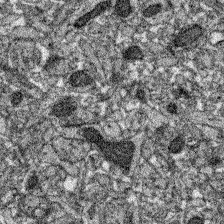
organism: Zebrafish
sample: Larval olfactory bulb